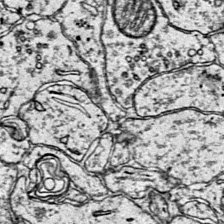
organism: Mouse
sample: Primary visual cortex